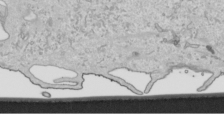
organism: Human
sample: Mitochondria in HCT116 cells